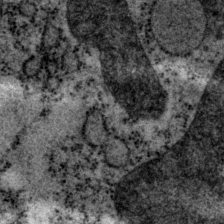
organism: P. pacificus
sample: Pharynx